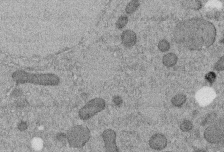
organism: C. elegans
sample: C. elegans embryo early stage